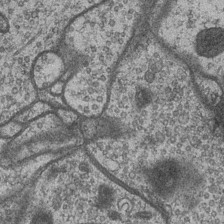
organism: Drosophila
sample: Optic medulla